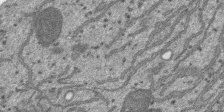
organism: Human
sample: Lung epithelial cells infected with SARS-CoV-2